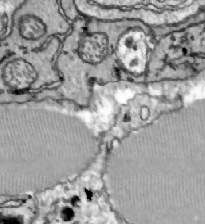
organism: Zebrafish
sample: Actinotrichia fibers